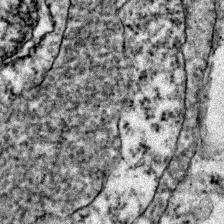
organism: Zebrafish